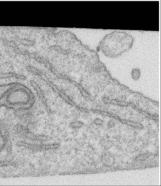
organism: Human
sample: Centriole in RPE cells